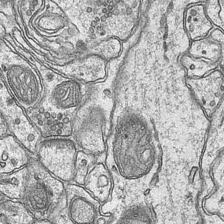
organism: Mouse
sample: CA1 Hippocampus